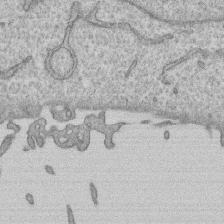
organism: Human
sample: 1205lu cells